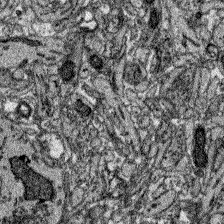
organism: Zebrafish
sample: Larval olfactory bulb